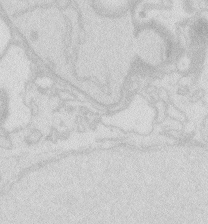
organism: Zebrafish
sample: Macrophage